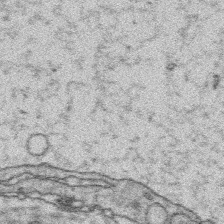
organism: Platynereis dumerilii